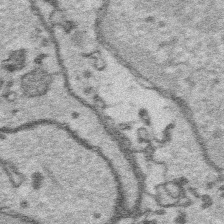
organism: Platynereis dumerilii